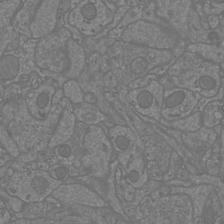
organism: Mouse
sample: Cortical neurons